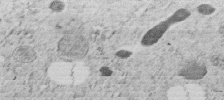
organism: C. elegans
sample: C. elegans embryo early stage